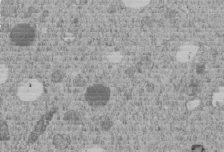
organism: C. elegans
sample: C. elegans embryo early stage